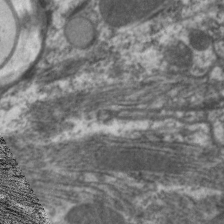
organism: C. elegans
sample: Pharynx